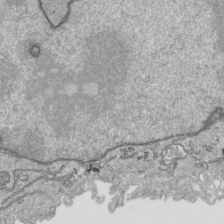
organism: Human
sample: Mitochondria in HCT116 cells